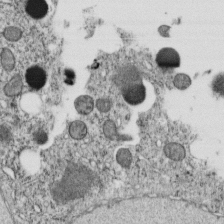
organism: C. elegans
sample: C. elegans embryo early stage